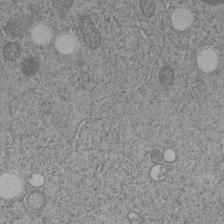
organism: C. elegans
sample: C. elegans embryo early stage